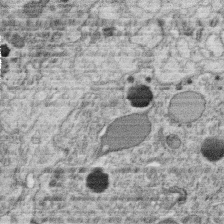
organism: C. elegans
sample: C. elegans oocyte; sperm cells